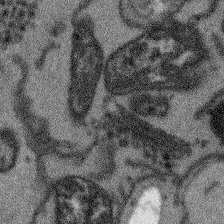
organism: Arabidopsis thaliana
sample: Root tip